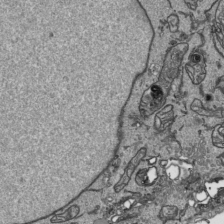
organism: Human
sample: Mitochondria in HCT116 cells